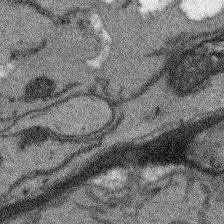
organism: Arabidopsis thaliana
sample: Root tip